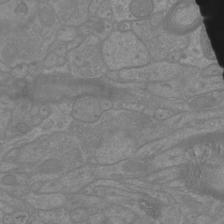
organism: Mouse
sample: Cortical neurons